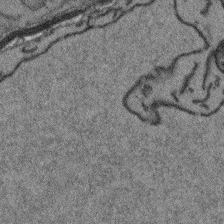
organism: Arabidopsis thaliana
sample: Root tip